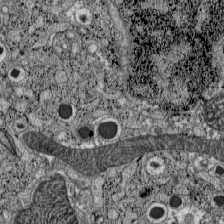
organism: C57BL Mouse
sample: Pancreatic islet